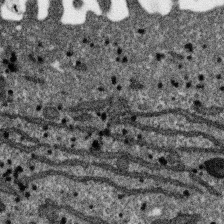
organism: Human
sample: Lung epithelial cells infected with SARS-CoV-2